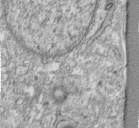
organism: Human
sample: Centriole in fibroblast cells